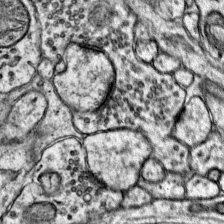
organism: Mouse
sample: Primary visual cortex